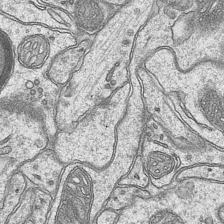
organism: Mouse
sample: CA1 Hippocampus